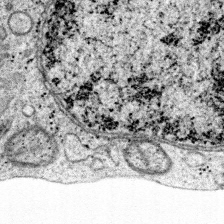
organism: Human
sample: HeLa cells